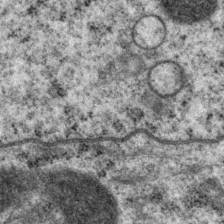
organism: P. pacificus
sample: Pharynx